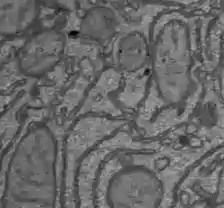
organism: C57BL Mouse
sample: Liver